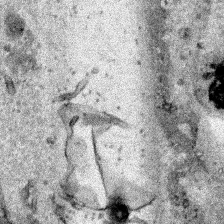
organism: Human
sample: Mitochondria in HCT116 cells